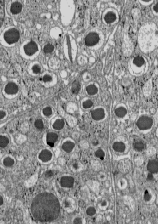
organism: C57BL Mouse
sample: Pancreatic islet